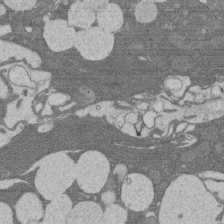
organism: Rat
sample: Salivary granule